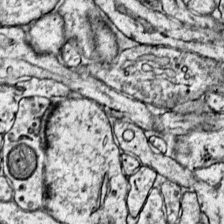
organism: Mouse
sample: Primary visual cortex